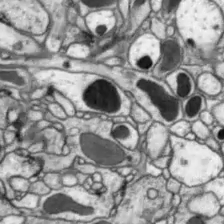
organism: Drosophila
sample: Optic lobe